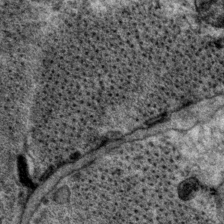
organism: P. pacificus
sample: Pharynx